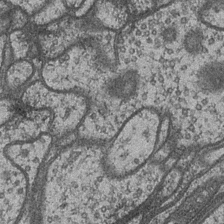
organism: Drosophila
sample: Optic medulla